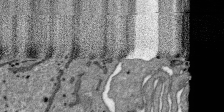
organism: Human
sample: Lung epithelial cells, uninfected (mock) control